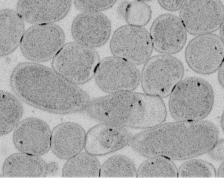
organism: E. coli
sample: Bacterial nucleoid